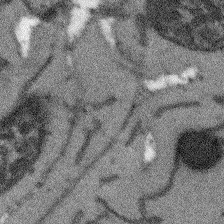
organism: Arabidopsis thaliana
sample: Root tip